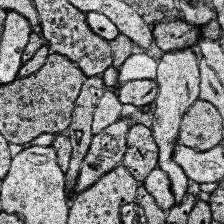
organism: Human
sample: Temporal Lobe